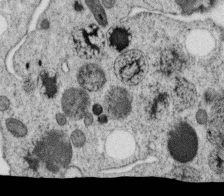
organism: C. elegans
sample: C. elegans oocyte; sperm cells